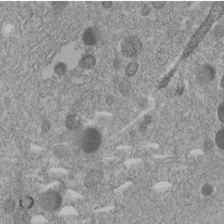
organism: C. elegans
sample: C. elegans embryo early stage